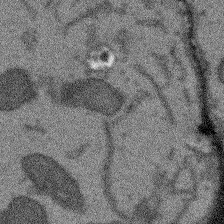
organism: Arabidopsis thaliana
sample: Root tip